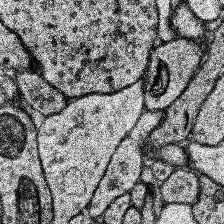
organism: Human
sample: Temporal Lobe